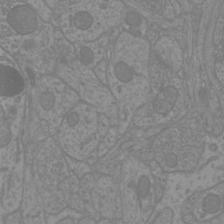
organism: Mouse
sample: Cortical neurons